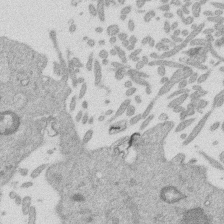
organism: Mouse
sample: Dividing mouse embryo 1 cell stage